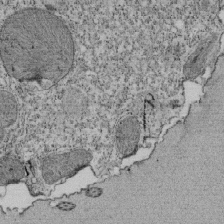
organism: Tetrahymena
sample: Cilia in tetrahymena